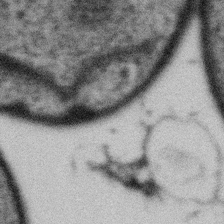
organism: Gemmata obscuriglobus